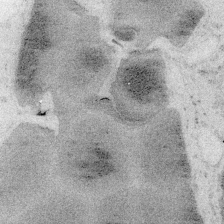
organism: Embia sp.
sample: Silk gland